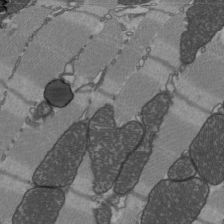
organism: C57BL Mouse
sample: Heart